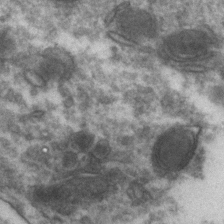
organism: Zebrafish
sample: Zebrafish embryo